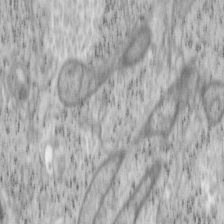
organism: Human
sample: HeLa cells